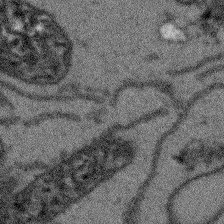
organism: Arabidopsis thaliana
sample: Root tip